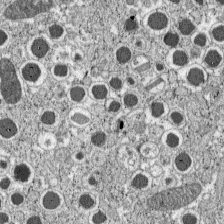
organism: C57BL Mouse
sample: Pancreatic islet